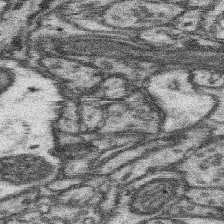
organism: Mouse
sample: Somatosensory cortex neuropil